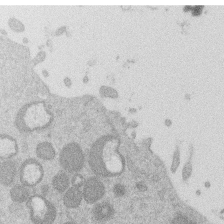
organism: Mouse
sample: Dividing mouse embryo 1 cell stage